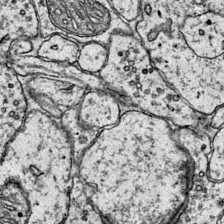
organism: Mouse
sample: Primary visual cortex